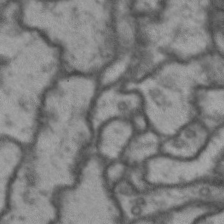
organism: Drosophila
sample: Brain